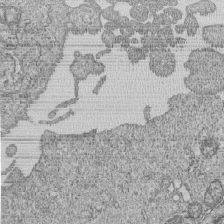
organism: Human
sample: MDA-MB-231 cells